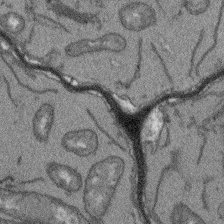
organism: Arabidopsis thaliana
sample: Root tip